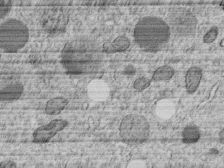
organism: C. elegans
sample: C. elegans embryo early stage